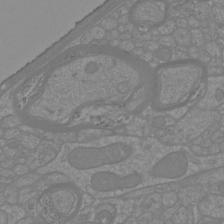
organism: Mouse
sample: Cortical neurons